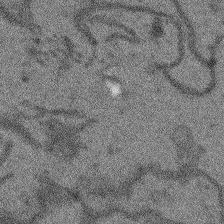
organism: Arabidopsis thaliana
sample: Root tip